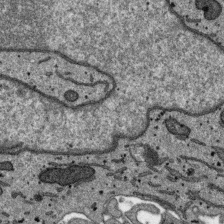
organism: Human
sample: Lung epithelial cells, uninfected (mock) control